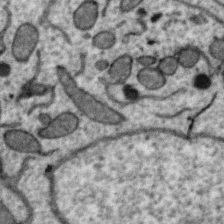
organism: Zebra finch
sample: Brain